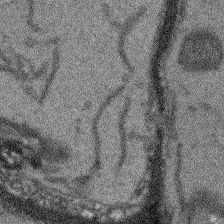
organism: Arabidopsis thaliana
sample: Root tip